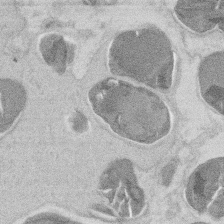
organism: Mouse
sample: T cell stromal cell synapse